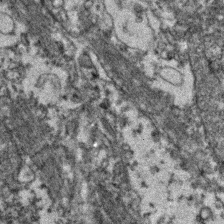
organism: Zebrafish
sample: Zebrafish embryo